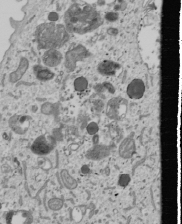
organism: Human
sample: Mitochondria in U2OS cells